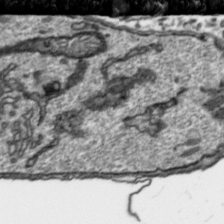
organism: Toxoplasma gondii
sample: Parasites in a vacuole inside a host cell